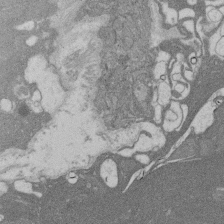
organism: Rat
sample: Salivary granule